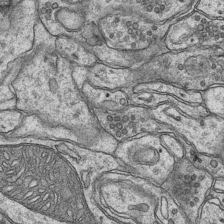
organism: Mouse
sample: CA1 Hippocampus